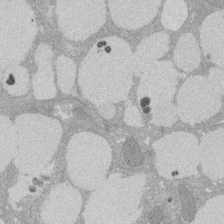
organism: Rat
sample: Salivary granule